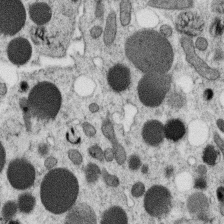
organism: C. elegans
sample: C. elegans oocyte; sperm cells